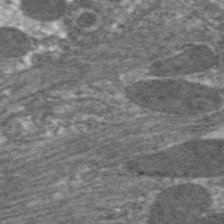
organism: C. elegans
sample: Pharynx